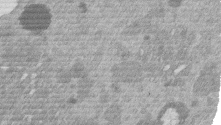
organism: Mouse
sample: Dividing mouse embryo 1 cell stage